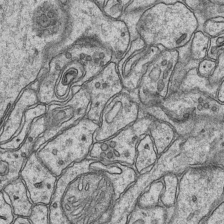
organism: Mouse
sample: CA1 Hippocampus